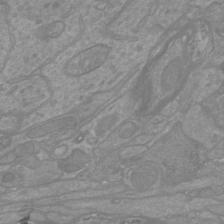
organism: Mouse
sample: Cortical neurons